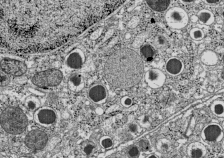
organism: C57BL Mouse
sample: Pancreatic islet